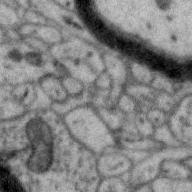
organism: Zebra finch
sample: Brain